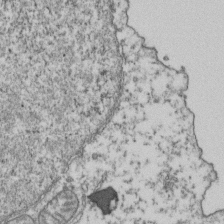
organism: Human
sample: Activated Jurkat CD4+ T cells